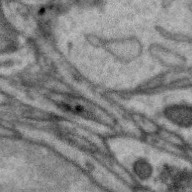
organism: Zebra finch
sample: Brain